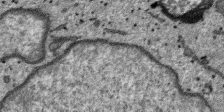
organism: Human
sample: Lung epithelial cells, uninfected (mock) control